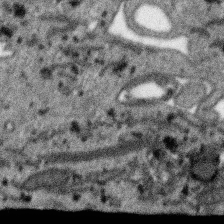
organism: Human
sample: Lung epithelial cells infected with SARS-CoV-2